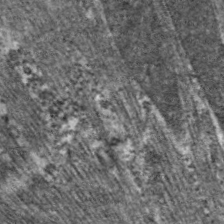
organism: C. elegans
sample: Pharynx